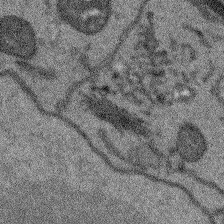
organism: Arabidopsis thaliana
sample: Root tip